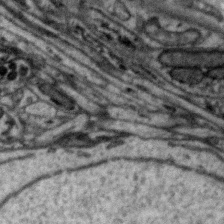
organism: Zebra finch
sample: Brain